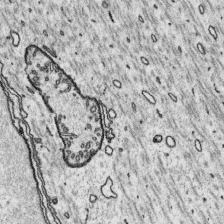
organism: Platynereis dumerilii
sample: Parapodia